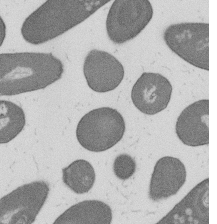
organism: B. subtilis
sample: Bacterial spore